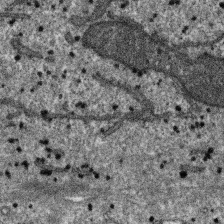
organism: Human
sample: Lung epithelial cells infected with SARS-CoV-2